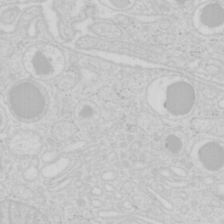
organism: Mouse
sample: Pancreas